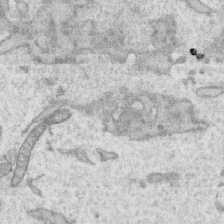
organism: Human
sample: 1205lu cells